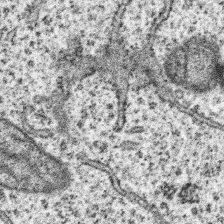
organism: Human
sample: HeLa cells